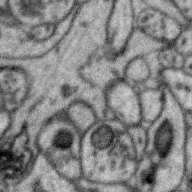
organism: Zebra finch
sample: Brain